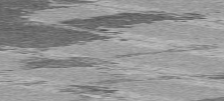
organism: C57BL Mouse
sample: Heart